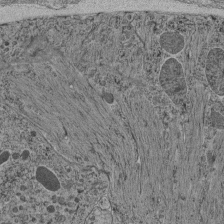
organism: C. elegans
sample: C. elegans pharynx